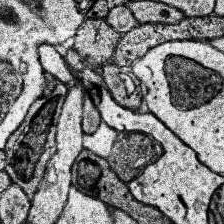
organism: Human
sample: Temporal Lobe